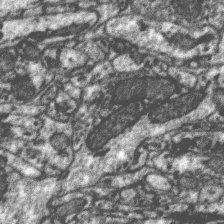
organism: Zebra finch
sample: Brain